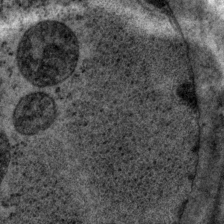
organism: P. pacificus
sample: Pharynx